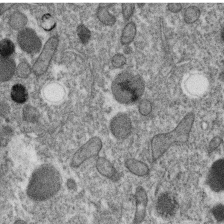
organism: C. elegans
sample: C. elegans oocyte; sperm cells